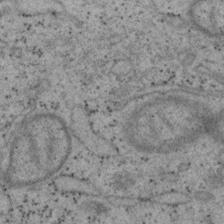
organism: Human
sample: HeLa cells